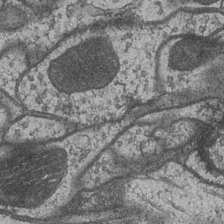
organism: Drosophila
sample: Optic medulla